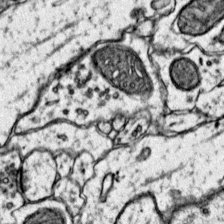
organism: Mouse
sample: Primary visual cortex